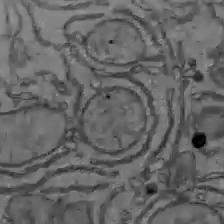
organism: C57BL Mouse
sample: Liver